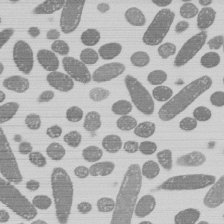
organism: E. coli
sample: Bacterial nucleoid